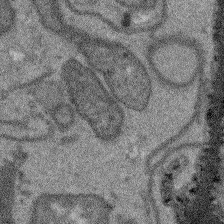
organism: Arabidopsis thaliana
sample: Root tip